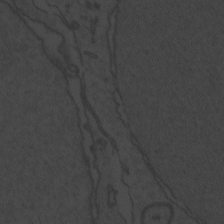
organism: Zebrafish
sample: Macrophage infected with Toxoplasma gondii